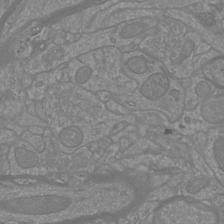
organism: Mouse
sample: Cortical neurons